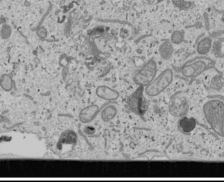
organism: Human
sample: Mitochondria in U2OS cells